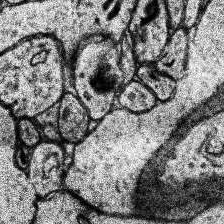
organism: Human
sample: Temporal Lobe